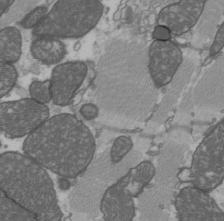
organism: C57BL Mouse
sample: Heart